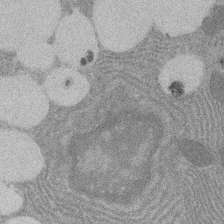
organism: Rat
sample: Salivary granule